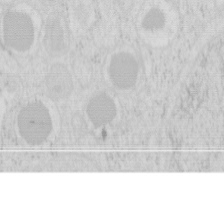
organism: Mouse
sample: Pancreas